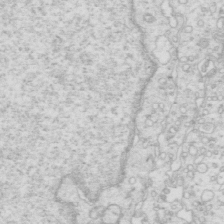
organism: Mouse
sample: Multiciliated cells